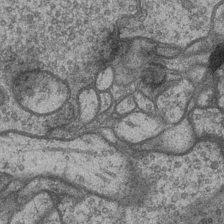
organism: Drosophila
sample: Optic medulla